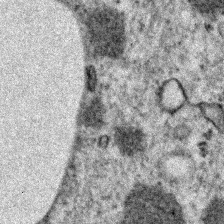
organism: Zebrafish